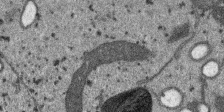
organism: Human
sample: Lung epithelial cells infected with SARS-CoV-2